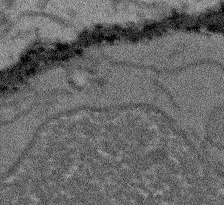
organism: Arabidopsis thaliana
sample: Root tip